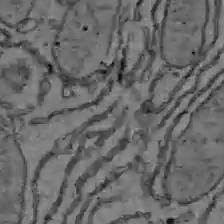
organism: C57BL Mouse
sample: Liver